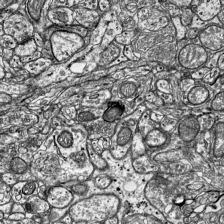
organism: Mouse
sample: Visual Cortex